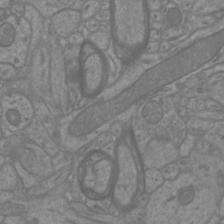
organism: Mouse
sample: Cortical neurons